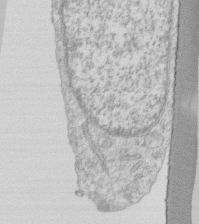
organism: Human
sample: Fibroblast cells